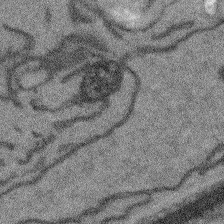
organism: Arabidopsis thaliana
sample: Root tip